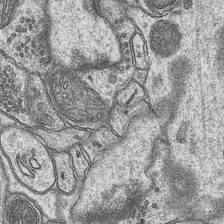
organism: Mouse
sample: CA1 Hippocampus